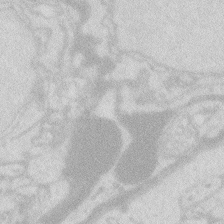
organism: Zebrafish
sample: Macrophage